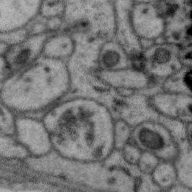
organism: Zebra finch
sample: Brain